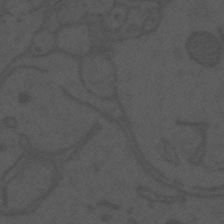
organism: Mouse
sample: Suprachiasmatic nucleus